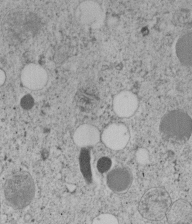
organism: C. elegans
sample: C. elegans embryo early stage